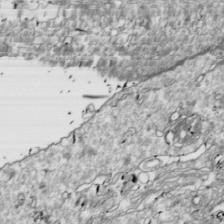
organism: Drosophila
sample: Cell division; meiosis; drosophila spermatocytes